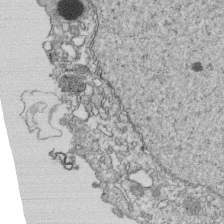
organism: Human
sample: HeLa cell HIV synapse